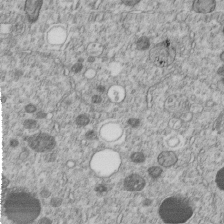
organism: C. elegans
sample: C. elegans embryo early stage